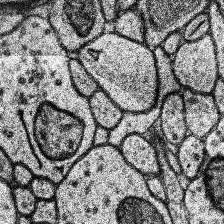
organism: Human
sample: Temporal Lobe